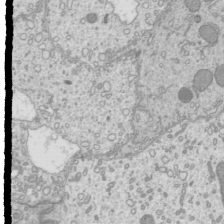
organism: Mouse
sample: Cilia; mouse epididymis